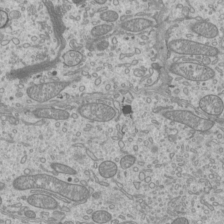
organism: Mouse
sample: Cilia; mouse epididymis